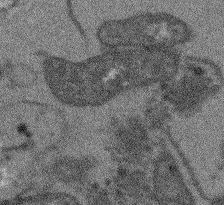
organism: Arabidopsis thaliana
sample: Root tip